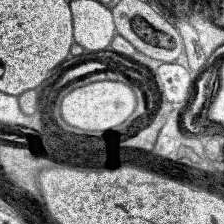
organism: Human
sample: Temporal Lobe